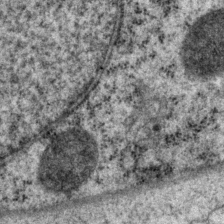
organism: P. pacificus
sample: Pharynx